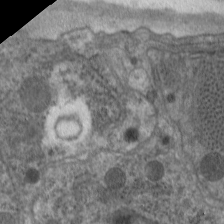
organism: C. elegans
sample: Pharynx